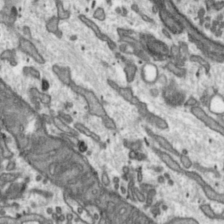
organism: Toxoplasma gondii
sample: Parasites in a vacuole inside a host cell